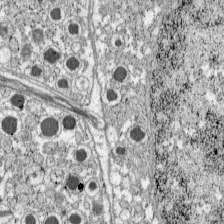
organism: C57BL Mouse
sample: Pancreatic islet